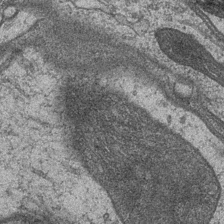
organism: Drosophila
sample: Optic medulla